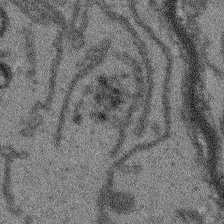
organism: Arabidopsis thaliana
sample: Root tip